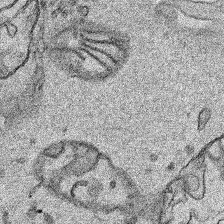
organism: Human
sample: Mitochondria in HCT116 cells